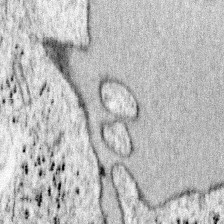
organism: Human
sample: HeLa cells